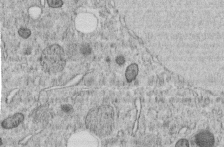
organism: C. elegans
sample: C. elegans embryo early stage